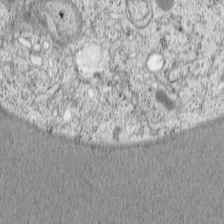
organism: African green monkey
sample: COS-7 cells